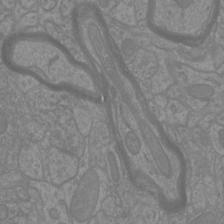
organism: Mouse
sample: Cortical neurons